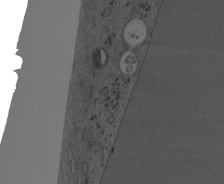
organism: Mouse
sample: OT-I killer T cells with ID8 ovarian cancer cells